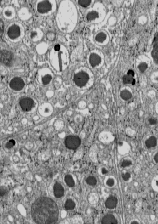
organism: C57BL Mouse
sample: Pancreatic islet